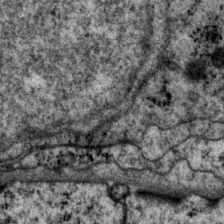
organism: P. pacificus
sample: Pharynx